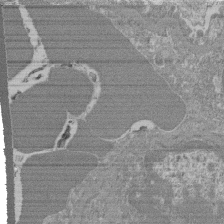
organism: Mouse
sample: Glomerulus